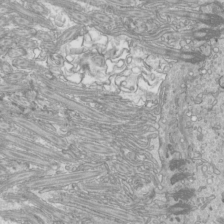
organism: Mouse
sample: Cilia; mouse epididymis